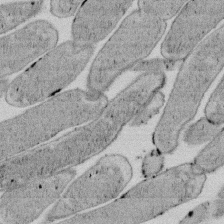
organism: E. coli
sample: Bacterial nucleoid